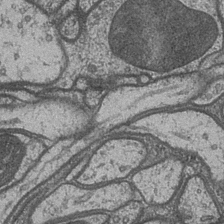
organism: Drosophila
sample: Optic medulla